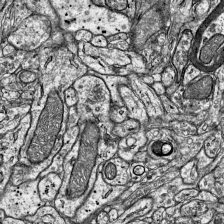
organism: Mouse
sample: Visual Cortex